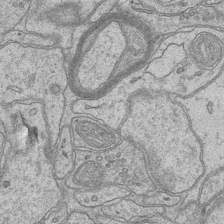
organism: Mouse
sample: CA1 Hippocampus